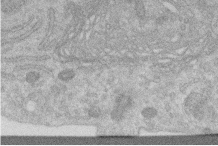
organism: Human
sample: Centriole in RPE cells